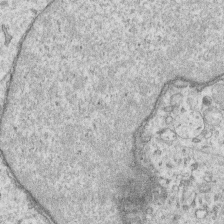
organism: Human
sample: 1205lu cells